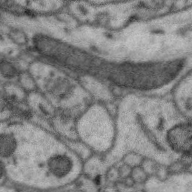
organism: Zebra finch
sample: Brain